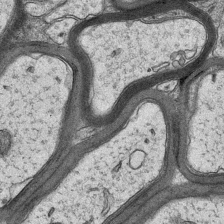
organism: Mouse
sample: CA1 Hippocampus